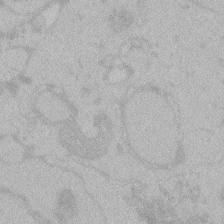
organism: Zebrafish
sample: Macrophage infected with Toxoplasma gondii